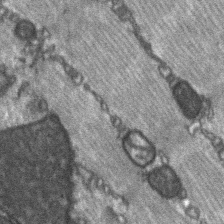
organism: C57BL Mouse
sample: Soleus